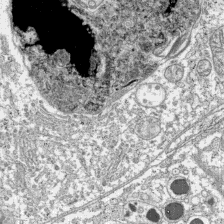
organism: C57BL Mouse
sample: Pancreatic islet